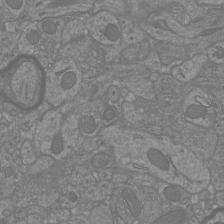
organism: Mouse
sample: Cortical neurons